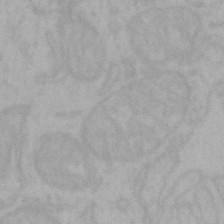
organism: Mouse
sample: Choroid plexus